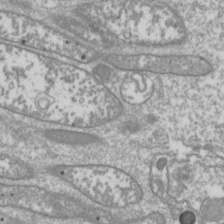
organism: Drosophila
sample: Cell division; meiosis; drosophila spermatocytes